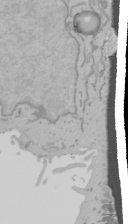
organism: Mouse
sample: Cancer cell death in ED-1 cells